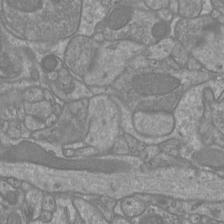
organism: Mouse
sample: Cortical neurons